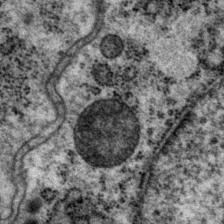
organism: P. pacificus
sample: Pharynx